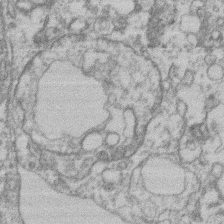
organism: Mouse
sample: T cell stromal cell synapse